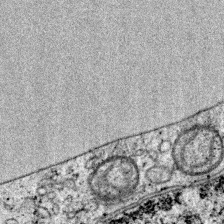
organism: Human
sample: HeLa cells